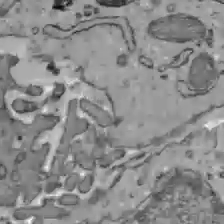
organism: C57BL Mouse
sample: Liver